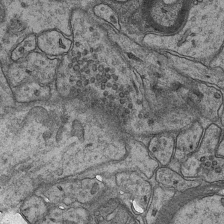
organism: Mouse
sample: CA1 Hippocampus